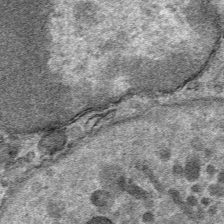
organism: Mouse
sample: Mouse Salivary gland